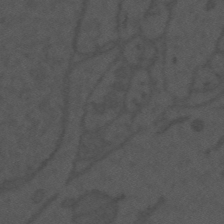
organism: Mouse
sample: Suprachiasmatic nucleus